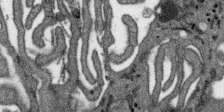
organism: Human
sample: Lung epithelial cells, uninfected (mock) control